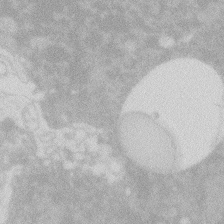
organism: Zebrafish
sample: Macrophage